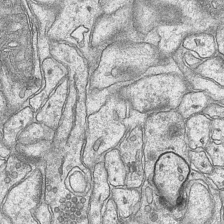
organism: Mouse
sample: CA1 Hippocampus